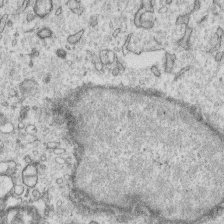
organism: Human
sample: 1205lu cells